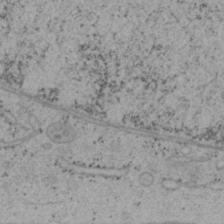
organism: Human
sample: HeLa cells